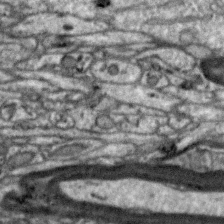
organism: Zebra finch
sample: Brain